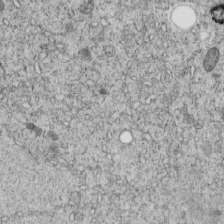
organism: C. elegans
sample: C. elegans embryo early stage